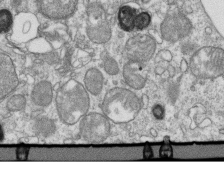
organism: Mouse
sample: Activated OT-1 CD8+ T cells